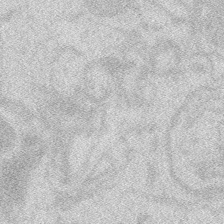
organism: Zebrafish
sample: Macrophage